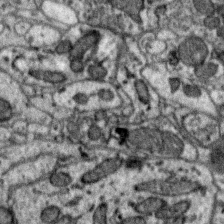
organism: Zebra finch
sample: Brain